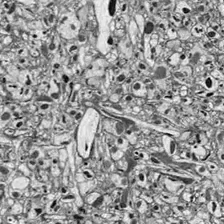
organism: Drosophila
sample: Optic lobe